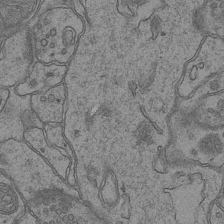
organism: Mouse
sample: CA1 Hippocampus